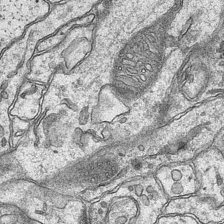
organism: Mouse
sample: CA1 Hippocampus